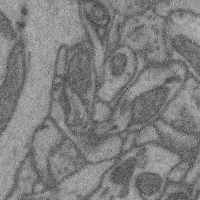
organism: Mouse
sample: Cerebral cortex